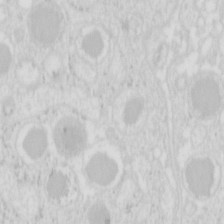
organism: Mouse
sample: Pancreas